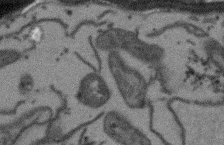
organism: Arabidopsis thaliana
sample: Root tip